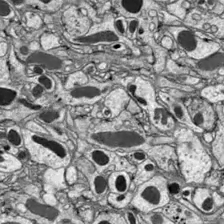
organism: Drosophila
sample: Optic lobe